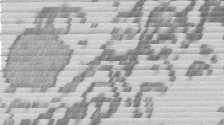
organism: Mouse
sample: Dividing mouse embryo 1 cell stage